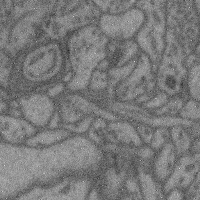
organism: Mouse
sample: Cerebral cortex